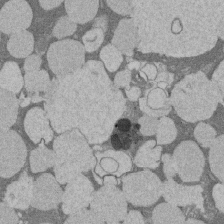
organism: Rat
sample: Salivary granule